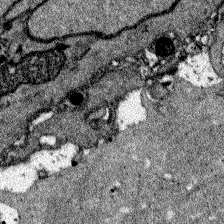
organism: Zebrafish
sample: Larval olfactory bulb